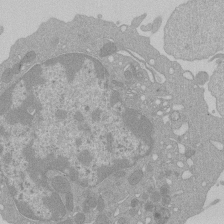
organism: Mouse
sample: Activated Pmel transgenic CD8+ T Cells